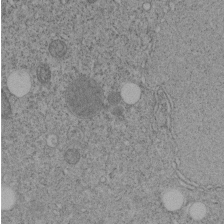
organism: C. elegans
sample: C. elegans embryo early stage